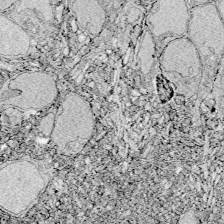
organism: Zebrafish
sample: Whole-Brain